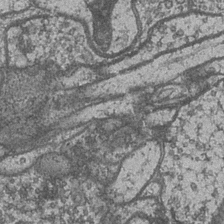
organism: Drosophila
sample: Optic medulla